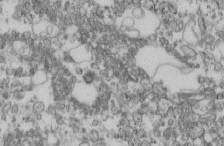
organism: Mouse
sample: Cilia; retinal pigment epithelium